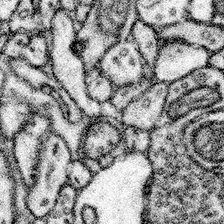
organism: Mouse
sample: Somatosensory cortex neuropil